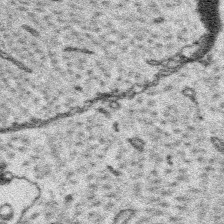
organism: Platynereis dumerilii